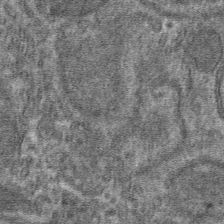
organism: Mouse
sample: Mouse hepatocytes